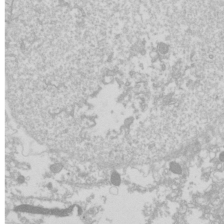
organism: Drosophila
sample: Cell division; meiosis; drosophila spermatocytes